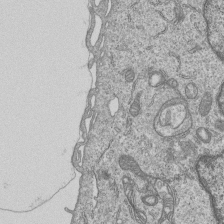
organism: Human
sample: MDA-MB-231 cells